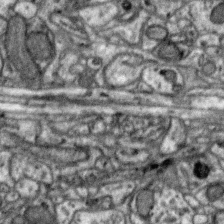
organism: Zebra finch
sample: Brain